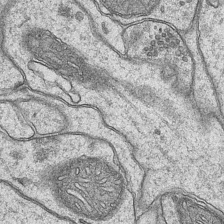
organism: Mouse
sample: CA1 Hippocampus